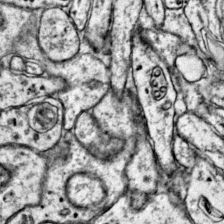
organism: Mouse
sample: Primary visual cortex